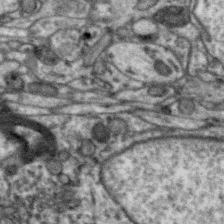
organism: Zebra finch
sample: Brain